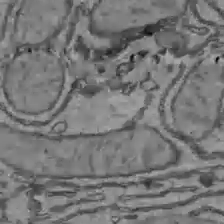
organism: C57BL Mouse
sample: Liver